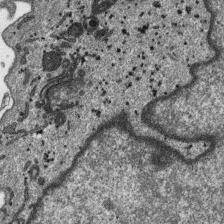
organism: Human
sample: Lung epithelial cells infected with SARS-CoV-2